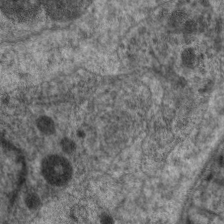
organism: C. elegans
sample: Pharynx